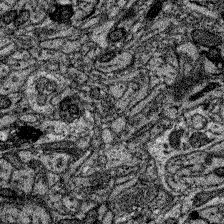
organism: Zebrafish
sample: Larval olfactory bulb